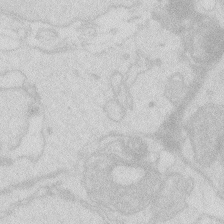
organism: Zebrafish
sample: Macrophage